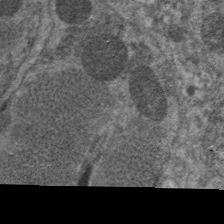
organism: C. elegans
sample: Pharynx